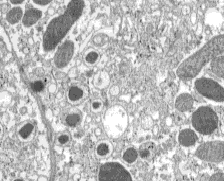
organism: C57BL Mouse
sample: Pancreatic islet